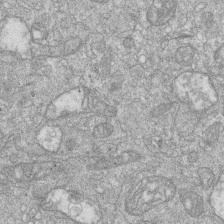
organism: Human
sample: HeLa cell HIV synapse